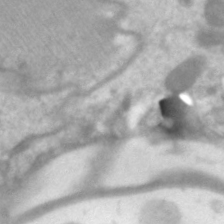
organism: C. elegans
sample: Pharynx